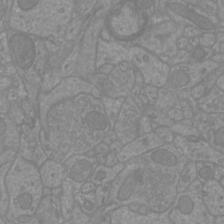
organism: Mouse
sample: Cortical neurons